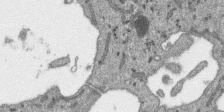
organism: Human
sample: Lung epithelial cells infected with SARS-CoV-2